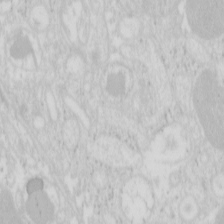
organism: Mouse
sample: Pancreas